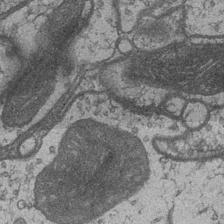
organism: Drosophila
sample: Optic medulla